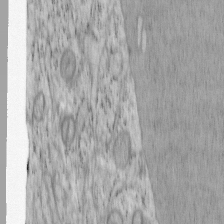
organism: Human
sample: HeLa cells